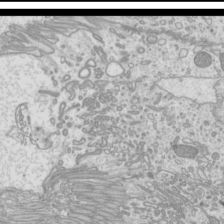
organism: Mouse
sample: Cilia; mouse epididymis